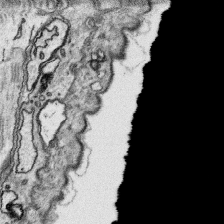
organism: Platynereis dumerilii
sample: Parapodia